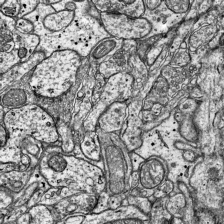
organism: Mouse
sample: Visual Cortex